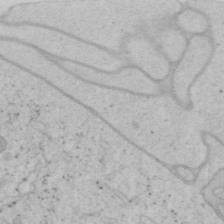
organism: Human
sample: HeLa cells